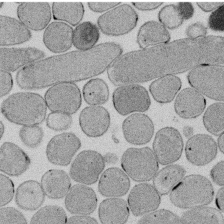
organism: E. coli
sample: Bacterial nucleoid